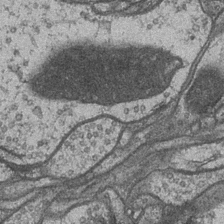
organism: Drosophila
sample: Optic medulla